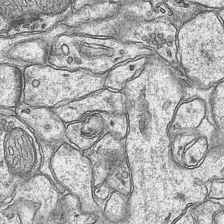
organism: Mouse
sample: CA1 Hippocampus